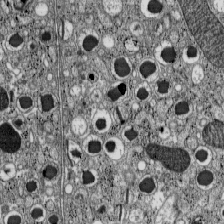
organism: C57BL Mouse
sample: Pancreatic islet